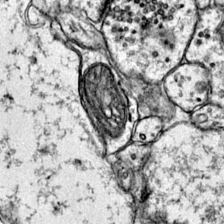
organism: Mouse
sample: Primary visual cortex